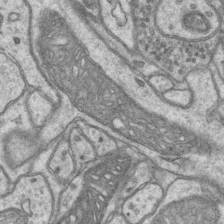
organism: Mouse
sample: CA1 Hippocampus